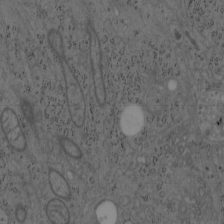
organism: Mouse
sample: OT-I killer T cells with ID8 ovarian cancer cells